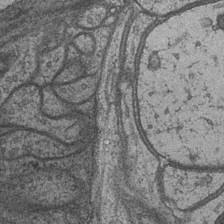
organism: Drosophila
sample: Optic medulla